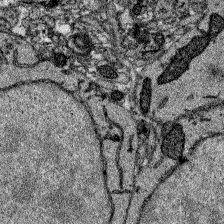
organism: Zebrafish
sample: Larval olfactory bulb